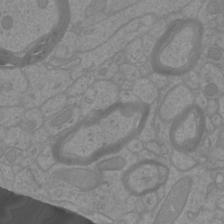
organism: Mouse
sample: Cortical neurons